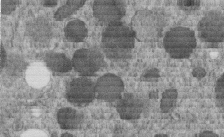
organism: C. elegans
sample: C. elegans embryo early stage